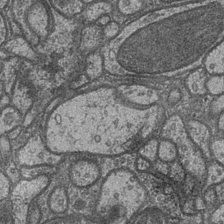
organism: Drosophila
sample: Optic medulla